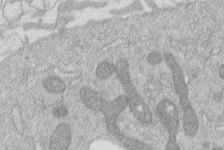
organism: Human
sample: Macrophage cells